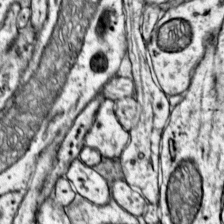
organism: Mouse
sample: Primary visual cortex